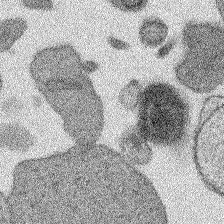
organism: Human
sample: HeLa cells